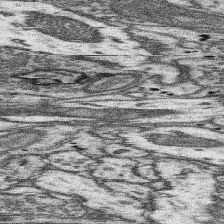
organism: Mouse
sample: Somatosensory cortex neuropil